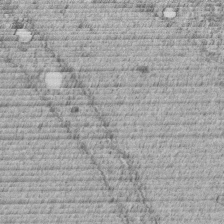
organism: C. elegans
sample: C. elegans embryo early stage